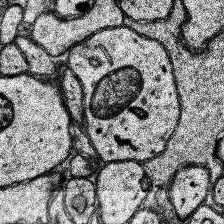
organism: Human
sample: Temporal Lobe